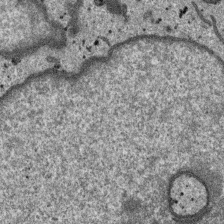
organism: Human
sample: Lung epithelial cells, uninfected (mock) control